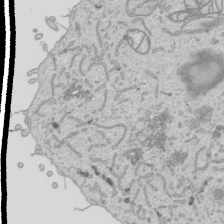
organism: Human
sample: Mitochondria in HCT116 cells